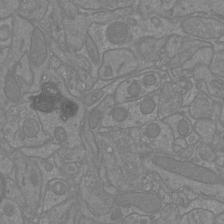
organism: Mouse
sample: Cortical neurons